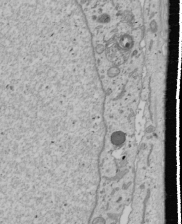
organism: Human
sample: Mitochondria in U2OS cells